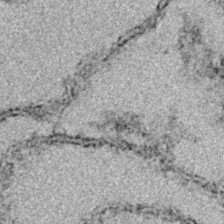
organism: E. coli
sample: E. Coli Bacteria